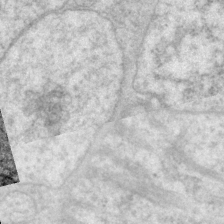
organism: P. pacificus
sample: Pharynx